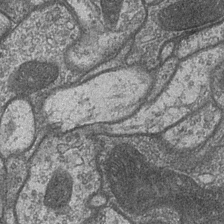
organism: Drosophila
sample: Optic medulla